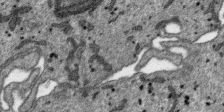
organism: Human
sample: Lung epithelial cells, uninfected (mock) control